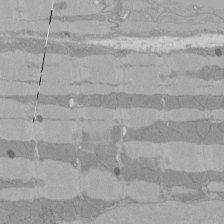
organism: Rat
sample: Left ventricle